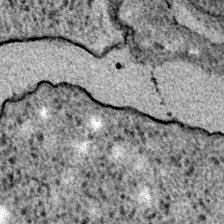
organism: E. coli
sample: E. Coli Bacteria